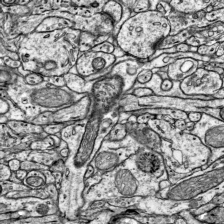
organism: Mouse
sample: Visual Cortex